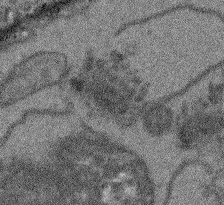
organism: Arabidopsis thaliana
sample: Root tip